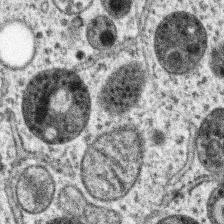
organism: Human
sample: HeLa cells